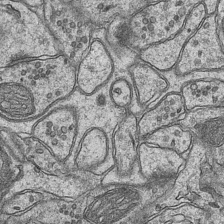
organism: Mouse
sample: CA1 Hippocampus